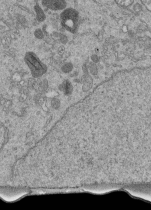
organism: Human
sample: Retinal organoid Rod and Cone cells